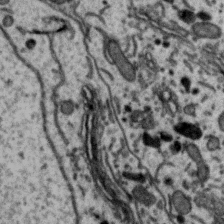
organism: Zebra finch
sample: Brain